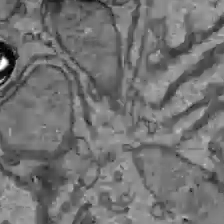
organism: C57BL Mouse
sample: Liver